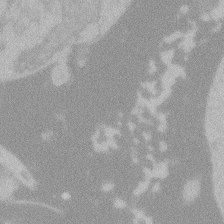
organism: Zebrafish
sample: Macrophage infected with Toxoplasma gondii